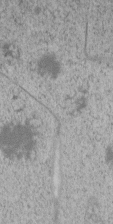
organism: C. elegans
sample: C. elegans embryo early stage